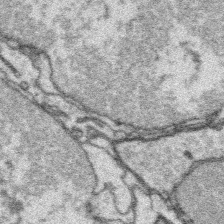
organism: Platynereis dumerilii